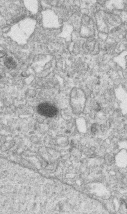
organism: Human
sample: HeLa cell HIV synapse